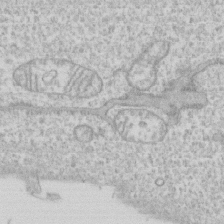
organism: Human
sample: CRL-1474